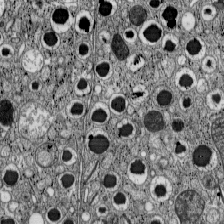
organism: C57BL Mouse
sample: Pancreatic islet